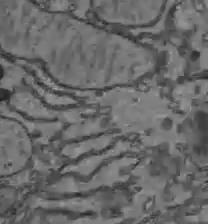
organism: C57BL Mouse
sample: Liver